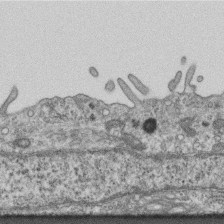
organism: Mouse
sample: Centriole in ependymal cells